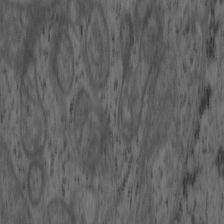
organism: Human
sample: HeLa cells